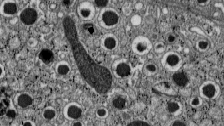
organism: C57BL Mouse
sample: Pancreatic islet